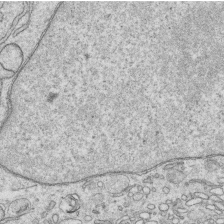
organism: Human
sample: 1205lu cells